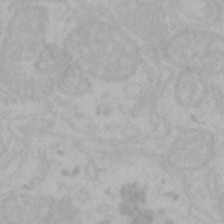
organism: Mouse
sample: Choroid plexus